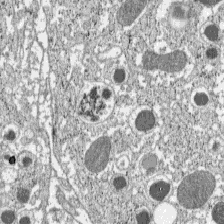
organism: C57BL Mouse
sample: Pancreatic islet